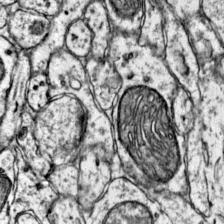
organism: Mouse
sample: Primary visual cortex